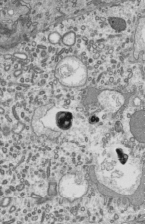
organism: Mouse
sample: Mouse epididymis efferent ductule cilia